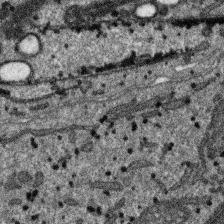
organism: Human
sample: Lung epithelial cells infected with SARS-CoV-2